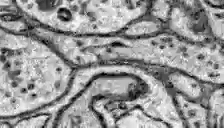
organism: Zebrafish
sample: Brain